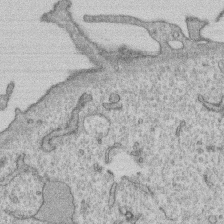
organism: Human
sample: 1205lu cells